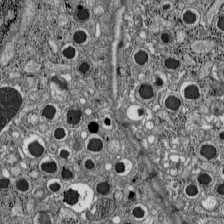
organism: C57BL Mouse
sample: Pancreatic islet